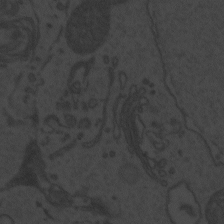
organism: Zebrafish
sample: Macrophage infected with Toxoplasma gondii